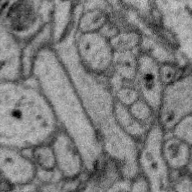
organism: Zebra finch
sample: Brain